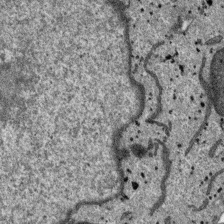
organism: Human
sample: Lung epithelial cells, uninfected (mock) control